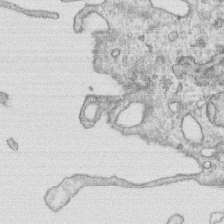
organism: Human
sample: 1205lu cells